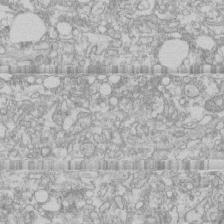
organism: Human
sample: CRL-1474